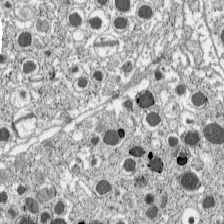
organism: C57BL Mouse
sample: Pancreatic islet